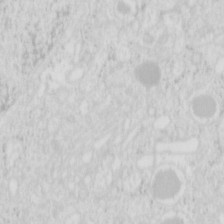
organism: Mouse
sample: Pancreas